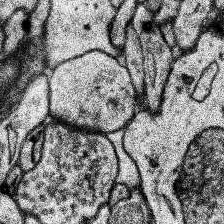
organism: Human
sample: Temporal Lobe